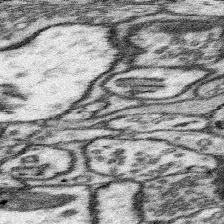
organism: Mouse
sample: Somatosensory cortex neuropil